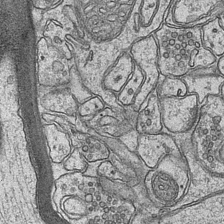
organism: Mouse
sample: CA1 Hippocampus